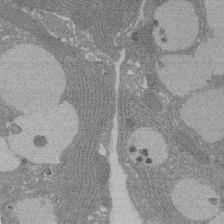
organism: Rat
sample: Salivary granule